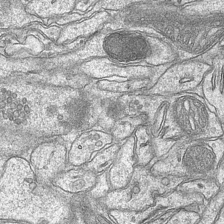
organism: Mouse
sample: CA1 Hippocampus